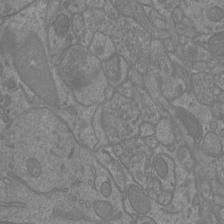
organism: Mouse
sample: Cortical neurons